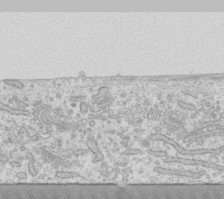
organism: Human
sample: Fibroblast cells